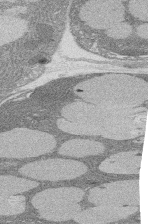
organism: Rat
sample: Salivary granule